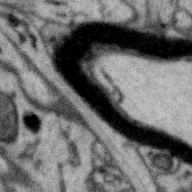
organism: Zebra finch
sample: Brain